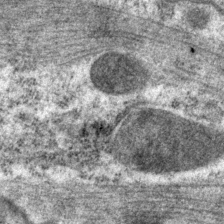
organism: P. pacificus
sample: Pharynx